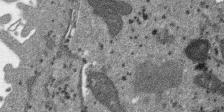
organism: Human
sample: Lung epithelial cells infected with SARS-CoV-2